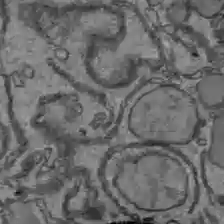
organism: C57BL Mouse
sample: Liver